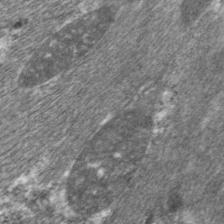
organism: C. elegans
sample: Pharynx